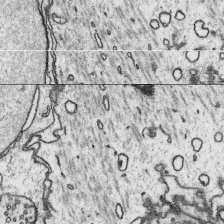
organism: Platynereis dumerilii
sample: Parapodia